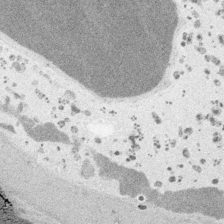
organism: Embia sp.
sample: Silk gland